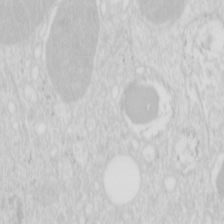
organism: Mouse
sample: Pancreas